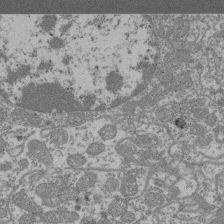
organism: Mouse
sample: Glomerulus